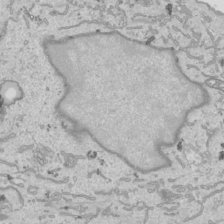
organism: Human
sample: Mitochondria in HCT116 cells